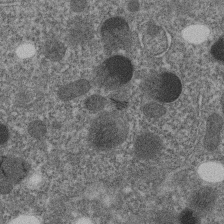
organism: C. elegans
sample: C. elegans embryo early stage